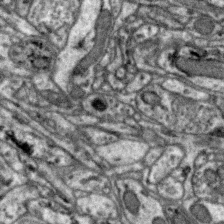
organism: Zebra finch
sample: Brain